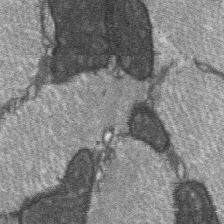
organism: C57BL Mouse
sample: Soleus